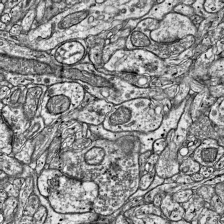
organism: Mouse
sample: Visual Cortex